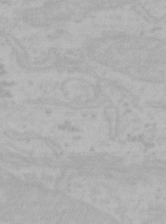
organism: Mouse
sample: Choroid plexus